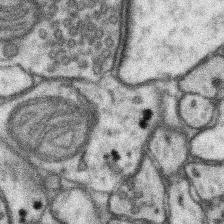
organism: Mouse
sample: Somatosensory cortex neuropil